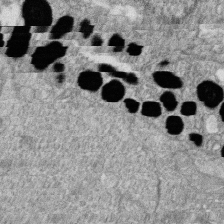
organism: Zebrafish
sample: Cilia; retinal pigment epithelium